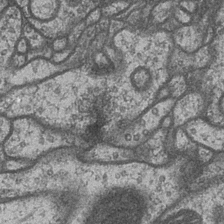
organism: Drosophila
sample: Optic medulla